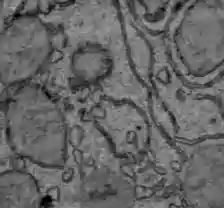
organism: C57BL Mouse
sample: Liver